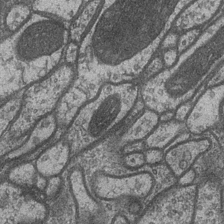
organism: Drosophila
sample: Optic medulla